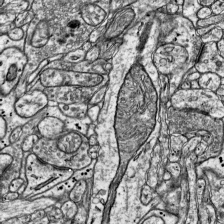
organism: Mouse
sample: Visual Cortex